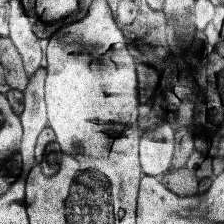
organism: Human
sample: Temporal Lobe